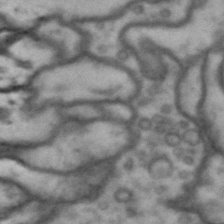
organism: Drosophila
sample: Brain